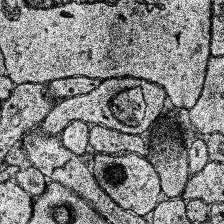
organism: Human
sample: Temporal Lobe